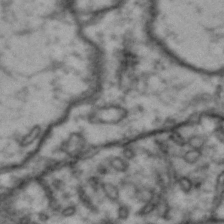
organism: Drosophila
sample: Brain